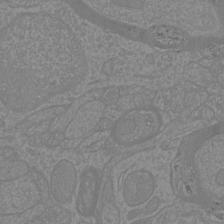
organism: Mouse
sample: Cortical neurons